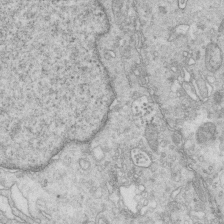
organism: Mouse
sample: Multiciliated cells